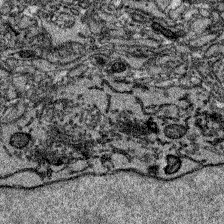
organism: Zebrafish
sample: Larval olfactory bulb